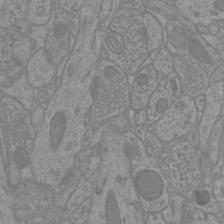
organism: Mouse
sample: Cortical neurons